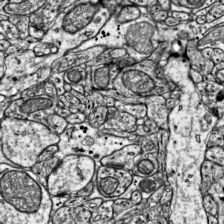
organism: Mouse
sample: Visual Cortex